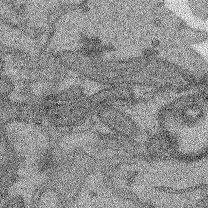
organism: Human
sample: HeLa cells